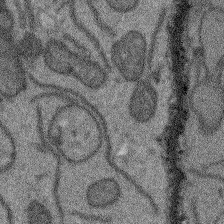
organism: Arabidopsis thaliana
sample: Root tip